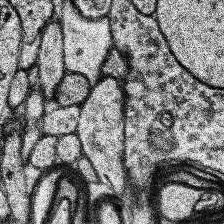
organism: Human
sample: Temporal Lobe